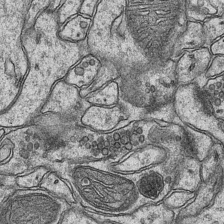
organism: Mouse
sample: CA1 Hippocampus